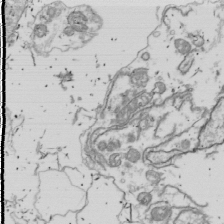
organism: Drosophila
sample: Cell division; meiosis; drosophila spermatocytes